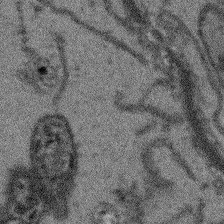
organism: Arabidopsis thaliana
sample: Root tip